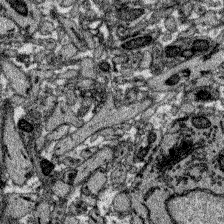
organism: Zebrafish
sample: Larval olfactory bulb